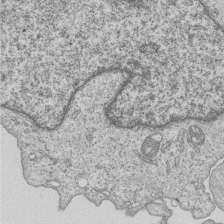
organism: Human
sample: MDA-MB-231 cells